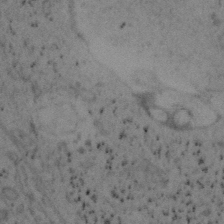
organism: Human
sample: HeLa cells